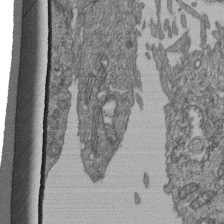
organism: Human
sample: Retinal organoid Rod and Cone cells